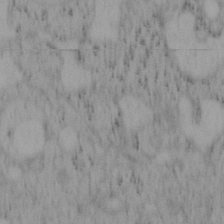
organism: Mouse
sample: OT-I killer T cells with ID8 ovarian cancer cells